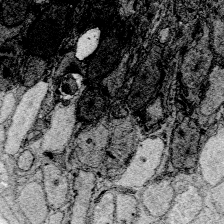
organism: Zebrafish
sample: Whole-Brain